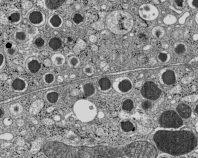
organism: C57BL Mouse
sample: Pancreatic islet